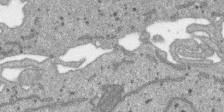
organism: Human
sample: Lung epithelial cells infected with SARS-CoV-2